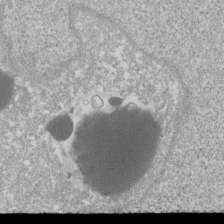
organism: Xenopus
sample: Cilia; centrioles in frog embryo cells